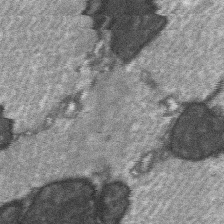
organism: C57BL Mouse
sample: Soleus